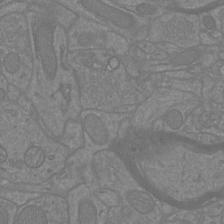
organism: Mouse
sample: Cortical neurons